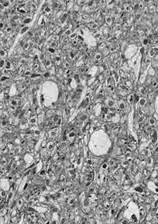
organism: Drosophila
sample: Optic lobe